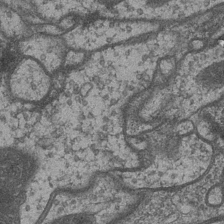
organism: Drosophila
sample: Optic medulla